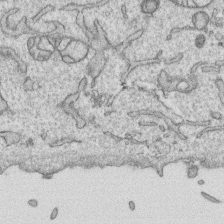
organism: Human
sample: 1205lu cells